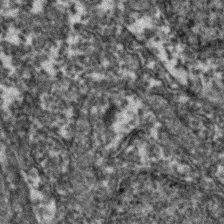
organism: Zebrafish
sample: Zebrafish embryo